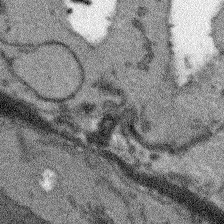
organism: Arabidopsis thaliana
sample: Root tip